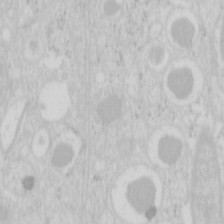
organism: Mouse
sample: Pancreas